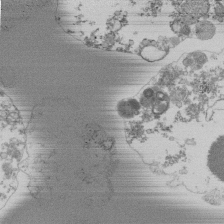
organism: Mouse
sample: Activated Pmel transgenic CD8+ T Cells